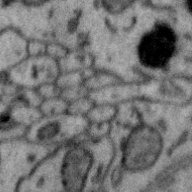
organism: Zebra finch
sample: Brain